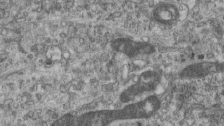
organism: Mouse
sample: Centriole in ependymal cells